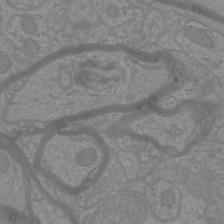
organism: Mouse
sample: Cortical neurons